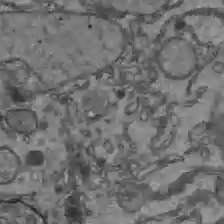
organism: C57BL Mouse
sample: Liver